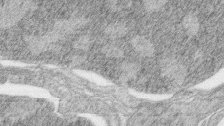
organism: Zebrafish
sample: synaptic ribbons in rod cells and cone cells